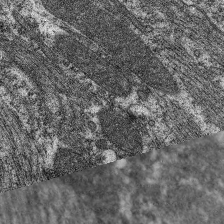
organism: C. elegans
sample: Pharynx